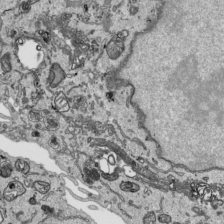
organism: Human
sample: Mitochondria in HCT116 cells